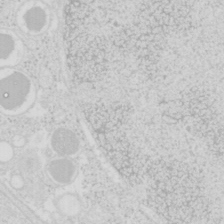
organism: Mouse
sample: Pancreas